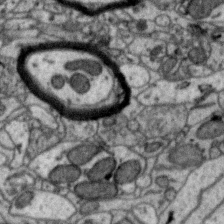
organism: Zebra finch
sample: Brain